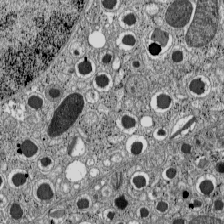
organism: C57BL Mouse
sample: Pancreatic islet